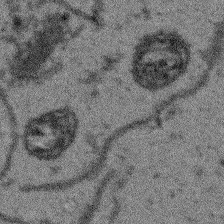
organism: Arabidopsis thaliana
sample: Root tip